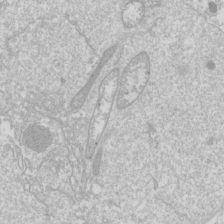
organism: Drosophila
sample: Cell division; meiosis; drosophila spermatocytes